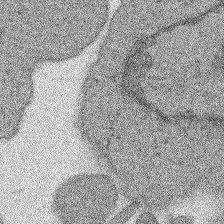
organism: Human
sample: HeLa cells